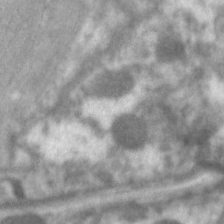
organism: C. elegans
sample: Pharynx